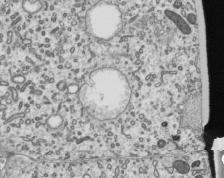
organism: Mouse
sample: Mouse epididymis efferent ductule cilia